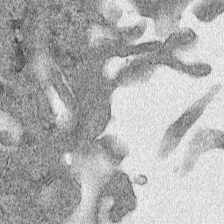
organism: Human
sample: Mitochondria in HCT116 cells